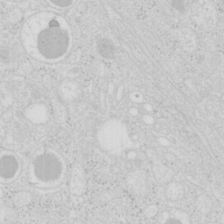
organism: Mouse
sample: Pancreas